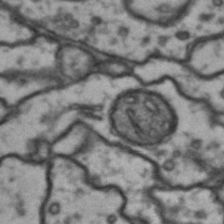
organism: Drosophila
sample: Brain